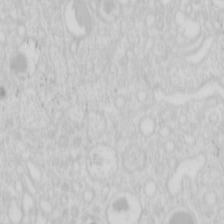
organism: Mouse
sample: Pancreas